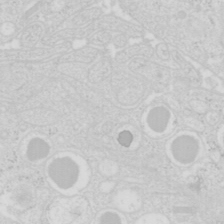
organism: Mouse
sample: Pancreas